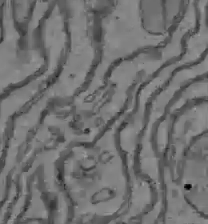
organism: C57BL Mouse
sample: Liver